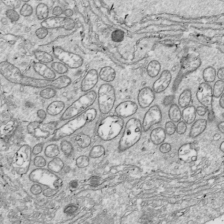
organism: Drosophila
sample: Cell division; meiosis; drosophila spermatocytes